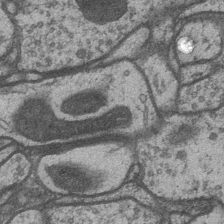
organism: Drosophila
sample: Optic medulla